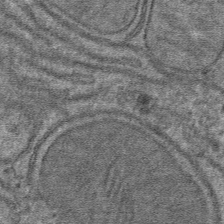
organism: Mouse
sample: Mouse hepatocytes